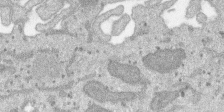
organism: Human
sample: Lung epithelial cells infected with SARS-CoV-2